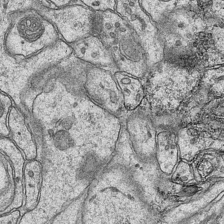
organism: Mouse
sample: CA1 Hippocampus